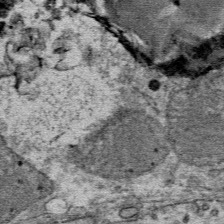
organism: Mouse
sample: Mouse Salivary gland